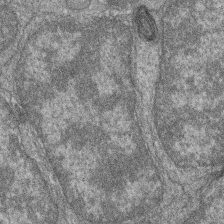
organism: Zebrafish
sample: Cilia; retinal pigment epithelium